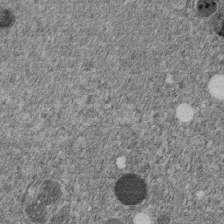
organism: C. elegans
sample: C. elegans embryo early stage